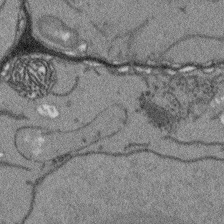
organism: Arabidopsis thaliana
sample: Root tip